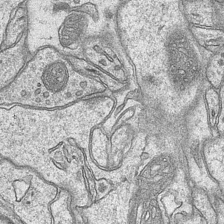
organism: Mouse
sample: CA1 Hippocampus